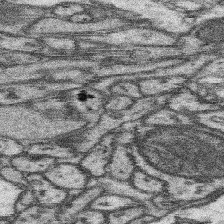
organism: Mouse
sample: Somatosensory cortex neuropil